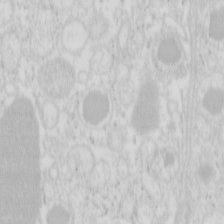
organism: Mouse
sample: Pancreas